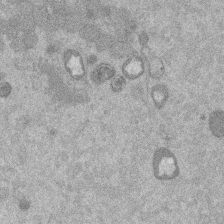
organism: Mouse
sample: Dividing mouse embryo 1 cell stage